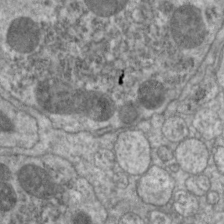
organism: C. elegans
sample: Pharynx